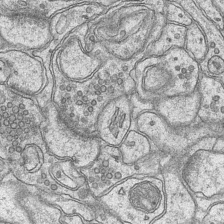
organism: Mouse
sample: CA1 Hippocampus